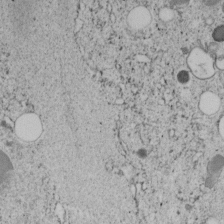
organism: C. elegans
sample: C. elegans embryo early stage